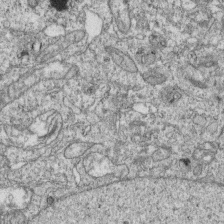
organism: Human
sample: HeLa cell HIV synapse